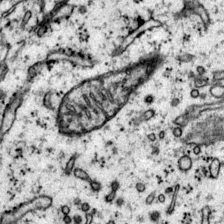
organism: Mouse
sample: Primary visual cortex